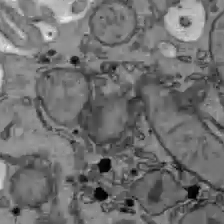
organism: C57BL Mouse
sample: Liver